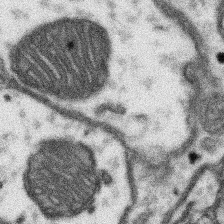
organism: Mouse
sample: Somatosensory cortex neuropil